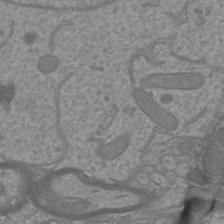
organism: Mouse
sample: Cortical neurons